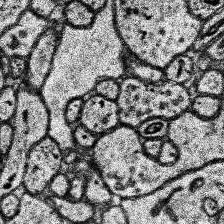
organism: Human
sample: Temporal Lobe